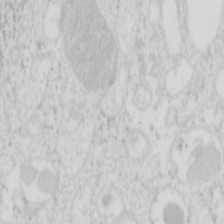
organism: Mouse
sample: Pancreas